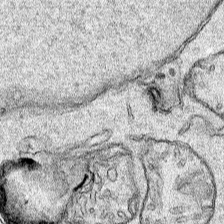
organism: Human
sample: Mitochondria in HCT116 cells